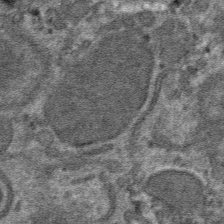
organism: Mouse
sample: Mouse hepatocytes